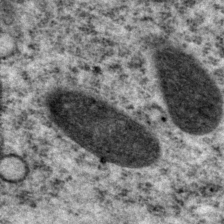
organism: P. pacificus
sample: Pharynx